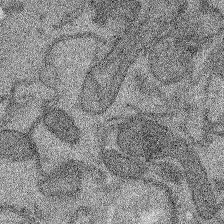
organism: Human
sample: HeLa cells